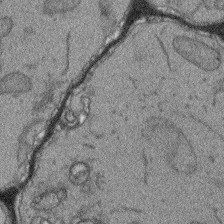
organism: Arabidopsis thaliana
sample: Root tip